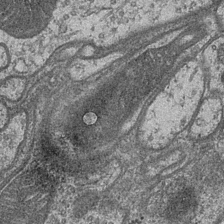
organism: Drosophila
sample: Optic medulla